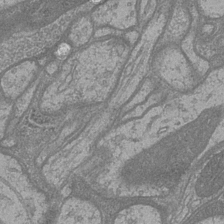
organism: Drosophila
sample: Optic medulla